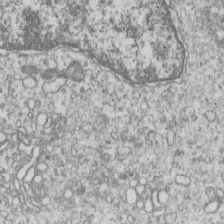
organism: Human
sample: MDA-MB-231 cells